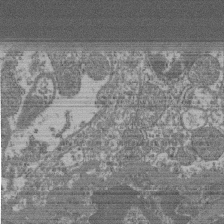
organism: Mouse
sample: Glomerulus